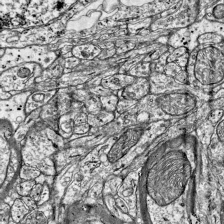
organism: Mouse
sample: Visual Cortex